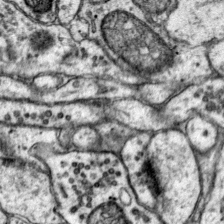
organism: Mouse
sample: Primary visual cortex